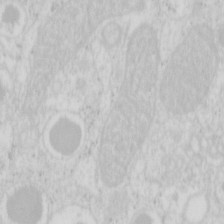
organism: Mouse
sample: Pancreas